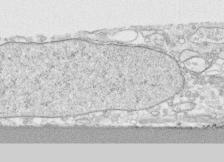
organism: Human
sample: CRL-1474